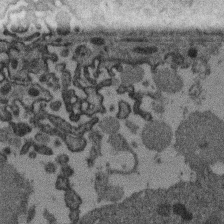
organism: Mouse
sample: Dividing mouse embryo 1 cell stage